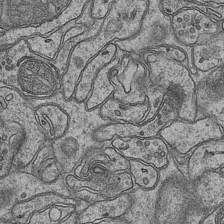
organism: Mouse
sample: CA1 Hippocampus